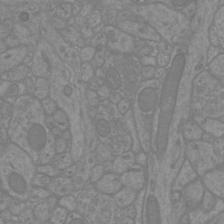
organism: Mouse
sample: Cortical neurons